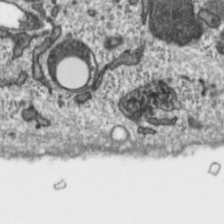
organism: Toxoplasma gondii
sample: Parasites in a vacuole inside a host cell